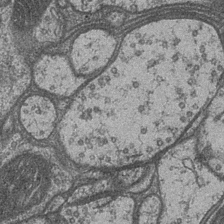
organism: Drosophila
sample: Optic medulla